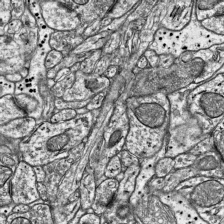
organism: Mouse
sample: Visual Cortex